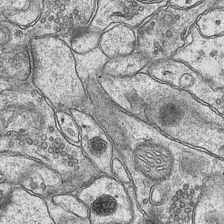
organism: Mouse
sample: CA1 Hippocampus